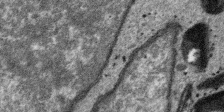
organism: Human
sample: Lung epithelial cells, uninfected (mock) control